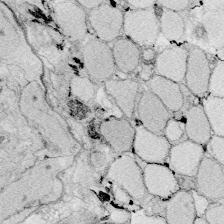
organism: Zebrafish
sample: Whole-Brain